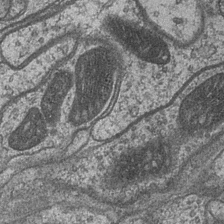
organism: Drosophila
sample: Optic medulla